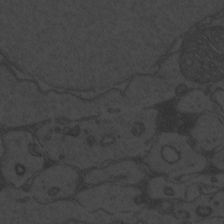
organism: Zebrafish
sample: Macrophage infected with Toxoplasma gondii